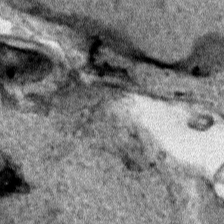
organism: Human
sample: Mitochondria in HCT116 cells